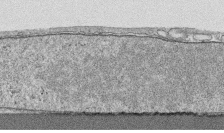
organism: Human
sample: CRL-1474